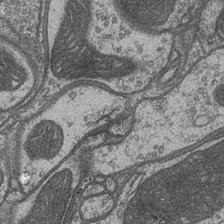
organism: Drosophila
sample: Optic medulla